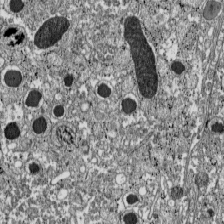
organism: C57BL Mouse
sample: Pancreatic islet